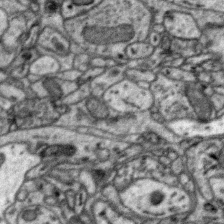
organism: Zebra finch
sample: Brain